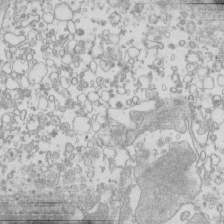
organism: Mouse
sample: Macrophages